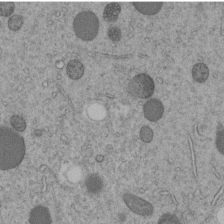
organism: C. elegans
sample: C. elegans embryo early stage